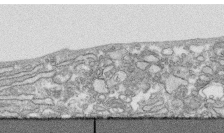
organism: Human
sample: CRL-1474